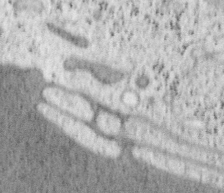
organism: Mouse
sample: OT-I killer T cells with ID8 ovarian cancer cells